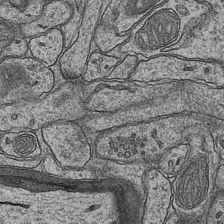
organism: Mouse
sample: CA1 Hippocampus